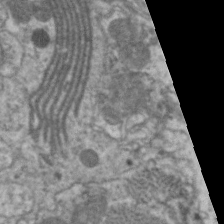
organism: C. elegans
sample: Pharynx